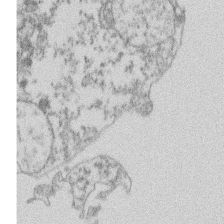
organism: Human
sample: HeLa cell HIV synapse